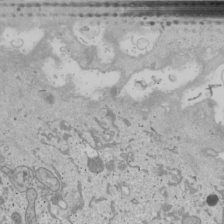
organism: Human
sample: Mitochondria in U2OS cells